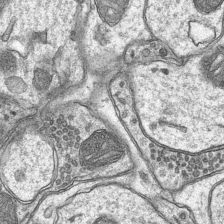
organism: Mouse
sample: CA1 Hippocampus